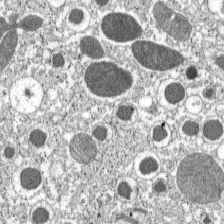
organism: C57BL Mouse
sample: Pancreatic islet